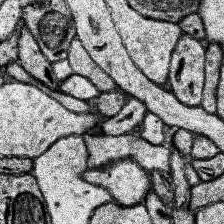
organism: Human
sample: Temporal Lobe